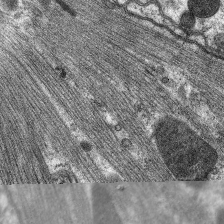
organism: C. elegans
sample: Pharynx